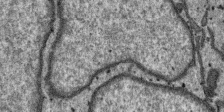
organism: Human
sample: Lung epithelial cells, uninfected (mock) control